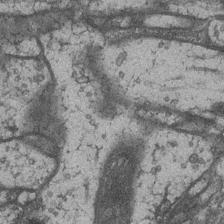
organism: Drosophila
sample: Optic medulla